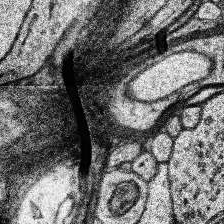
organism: Human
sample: Temporal Lobe